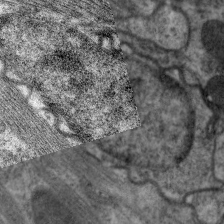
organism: C. elegans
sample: Pharynx